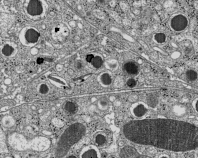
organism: C57BL Mouse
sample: Pancreatic islet